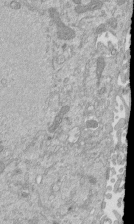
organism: Mouse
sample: ED-1 cell nuclei; centrioles